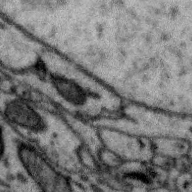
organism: Zebra finch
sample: Brain